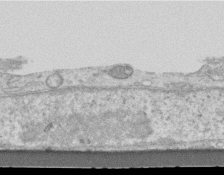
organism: Mouse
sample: Centriole in ependymal cells